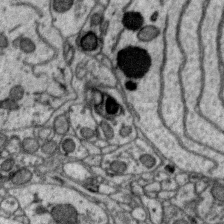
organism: Zebra finch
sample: Brain